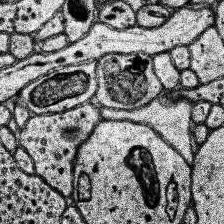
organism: Human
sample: Temporal Lobe